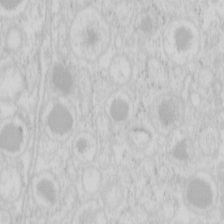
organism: Mouse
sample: Pancreas